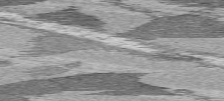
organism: C57BL Mouse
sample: Heart